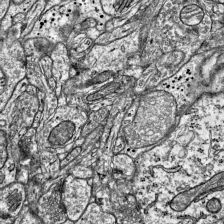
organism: Mouse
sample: Visual Cortex